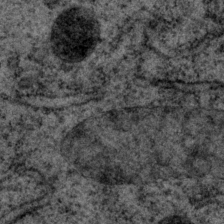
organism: P. pacificus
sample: Pharynx